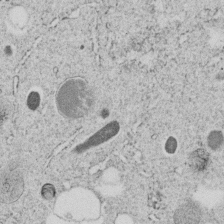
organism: C. elegans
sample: C. elegans embryo early stage